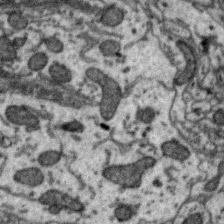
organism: Zebra finch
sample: Brain